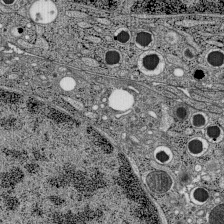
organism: C57BL Mouse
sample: Pancreatic islet